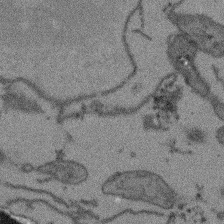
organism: Arabidopsis thaliana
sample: Root tip